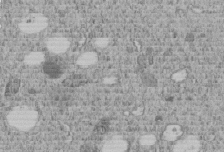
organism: C. elegans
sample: C. elegans embryo early stage